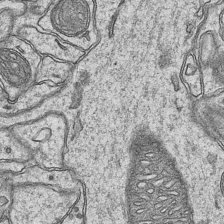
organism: Mouse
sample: CA1 Hippocampus